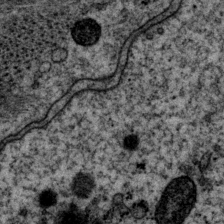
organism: P. pacificus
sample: Pharynx